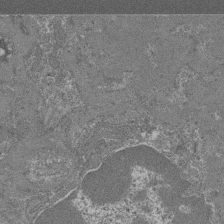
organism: Mouse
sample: Glomerulus